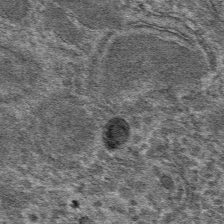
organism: Mouse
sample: Mouse hepatocytes